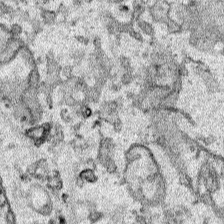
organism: Human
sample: Mitochondria in HCT116 cells